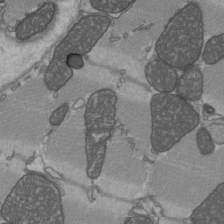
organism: C57BL Mouse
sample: Heart